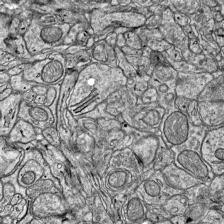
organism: Mouse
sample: Visual Cortex